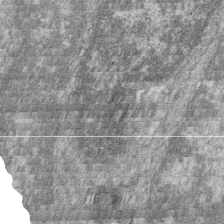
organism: Zebrafish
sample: Cilia; retinal pigment epithelium